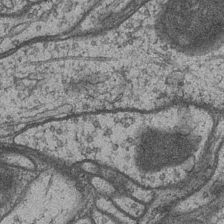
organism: Drosophila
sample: Optic medulla